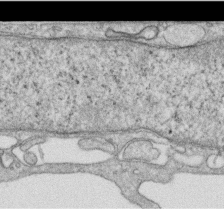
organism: Human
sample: Centriole in RPE cells